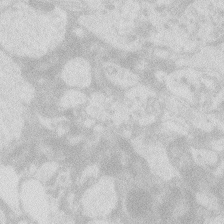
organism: Zebrafish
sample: Macrophage